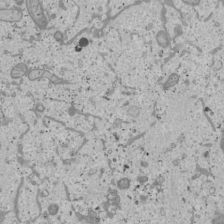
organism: Human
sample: Mitochondria in U2OS cells